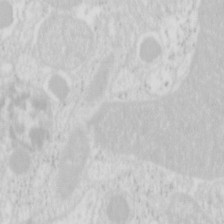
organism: Mouse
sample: Pancreas